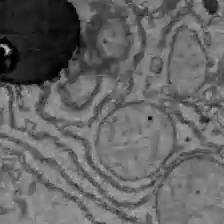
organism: C57BL Mouse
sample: Liver